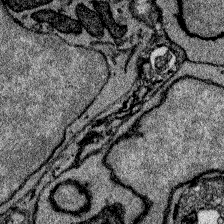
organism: Zebrafish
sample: Larval olfactory bulb